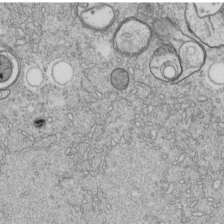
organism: C. elegans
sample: C. elegans embryo early stage